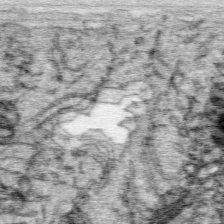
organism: Human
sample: HeLa cells